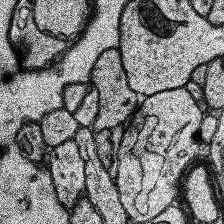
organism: Human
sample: Temporal Lobe